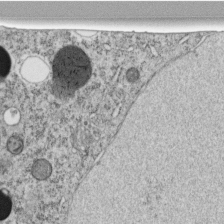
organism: C. elegans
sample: C. elegans embryo early stage